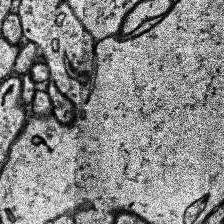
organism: Human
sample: Temporal Lobe